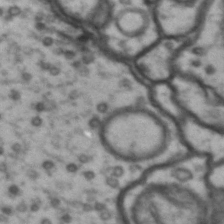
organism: Drosophila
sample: Brain